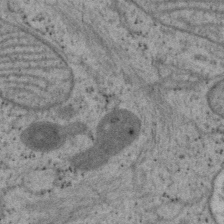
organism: Human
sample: HeLa cells